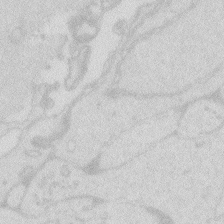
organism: Zebrafish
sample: Macrophage